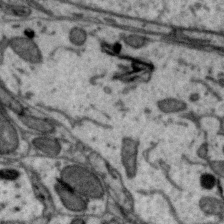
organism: Zebra finch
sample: Brain